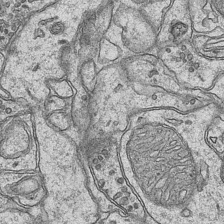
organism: Mouse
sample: CA1 Hippocampus